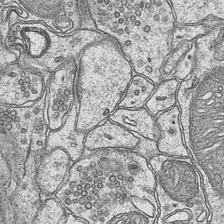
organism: Mouse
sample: CA1 Hippocampus